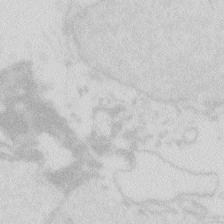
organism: Zebrafish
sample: Macrophage